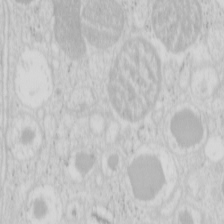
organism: Mouse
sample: Pancreas